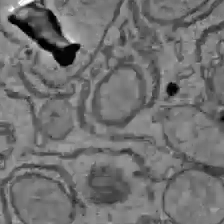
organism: C57BL Mouse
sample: Liver